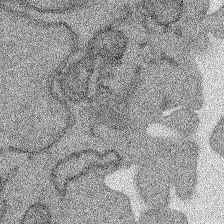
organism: Human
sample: HeLa cells